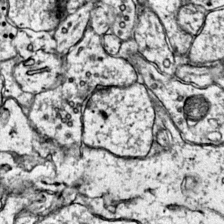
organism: Mouse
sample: Primary visual cortex